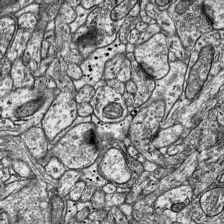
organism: Mouse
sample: Visual Cortex